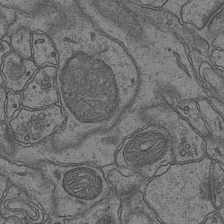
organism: Mouse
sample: CA1 Hippocampus